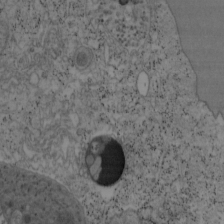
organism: Mouse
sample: OT-I killer T cells with ID8 ovarian cancer cells